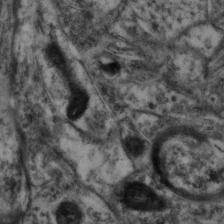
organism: Mouse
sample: Neocortex